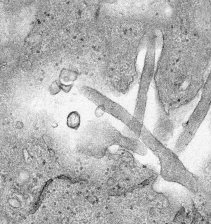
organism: Human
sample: Mitochondria in HCT116 cells